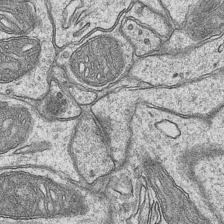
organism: Mouse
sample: CA1 Hippocampus